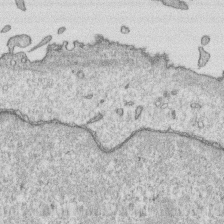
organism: Human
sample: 1205lu cells